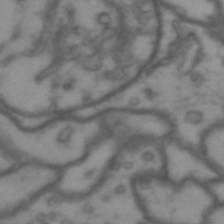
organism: Drosophila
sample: Brain